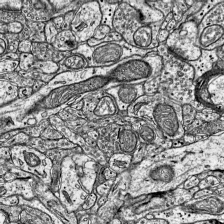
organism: Mouse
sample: Visual Cortex